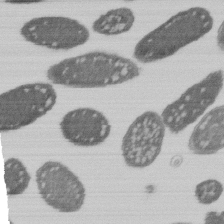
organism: E. coli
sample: Bacterial nucleoid